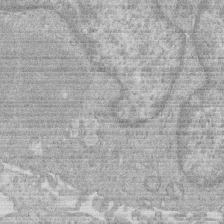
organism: Human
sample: Macrophage cells